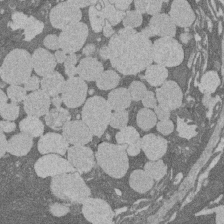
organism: Rat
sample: Salivary granule